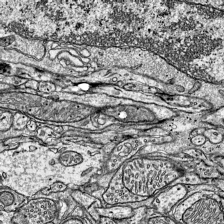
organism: Mouse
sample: Visual Cortex